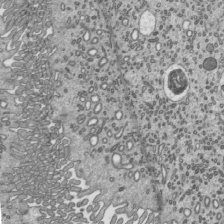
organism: Mouse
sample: Mouse epididymis efferent ductule cilia